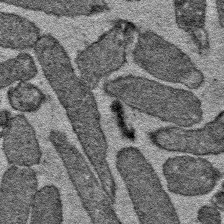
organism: E. coli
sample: E. Coli Bacteria